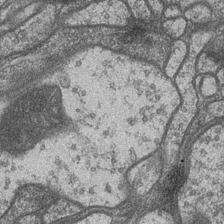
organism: Drosophila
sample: Optic medulla